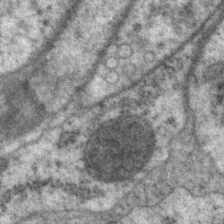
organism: P. pacificus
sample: Pharynx